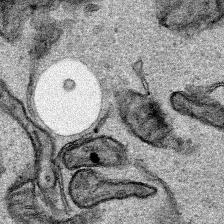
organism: Human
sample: Mitochondria in HCT116 cells